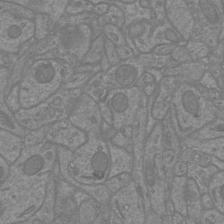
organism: Mouse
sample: Cortical neurons